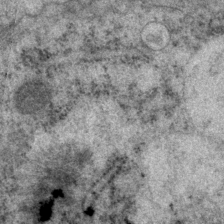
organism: P. pacificus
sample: Pharynx